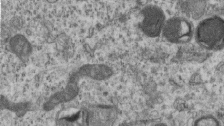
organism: Mouse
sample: Centriole in ependymal cells